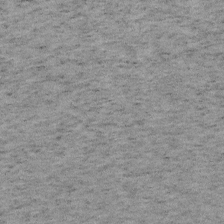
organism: Mouse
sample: OT-I killer T cells with ID8 ovarian cancer cells